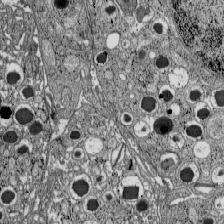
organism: C57BL Mouse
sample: Pancreatic islet